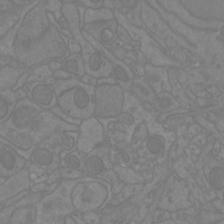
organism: Mouse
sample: Cortical neurons